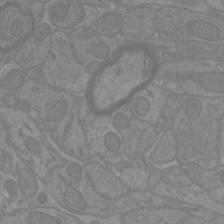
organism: Mouse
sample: Cortical neurons